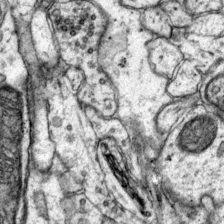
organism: Mouse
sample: Primary visual cortex